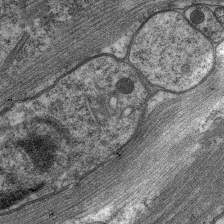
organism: C. elegans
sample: Pharynx